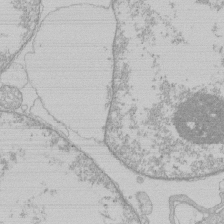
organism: Human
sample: Macrophage cells